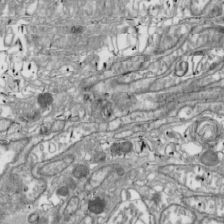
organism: Drosophila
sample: Cell division; meiosis; drosophila spermatocytes